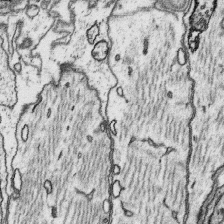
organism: Platynereis dumerilii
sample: Parapodia